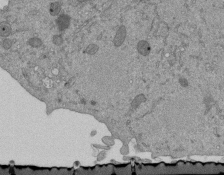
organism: Mouse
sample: ED-1 cell nuclei; centrioles